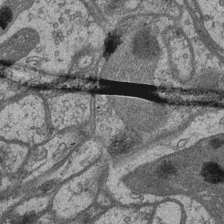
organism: Drosophila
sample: Optic medulla